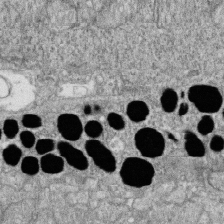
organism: Zebrafish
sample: Cilia; retinal pigment epithelium